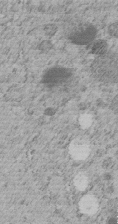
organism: C. elegans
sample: C. elegans embryo early stage